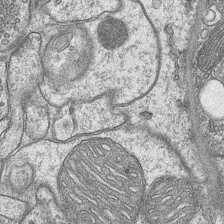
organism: Mouse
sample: CA1 Hippocampus